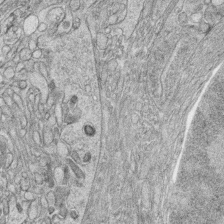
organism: Zebrafish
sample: synaptic ribbons in rod cells and cone cells